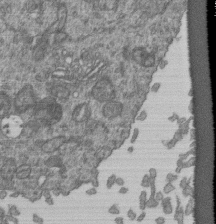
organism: Human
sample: Retinal organoid Rod and Cone cells